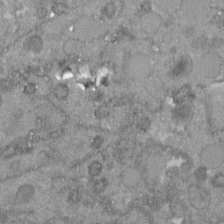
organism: C. elegans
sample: C. elegans embryo early stage